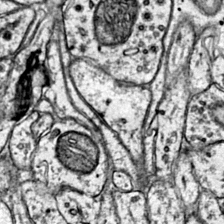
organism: Mouse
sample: Primary visual cortex